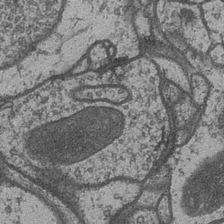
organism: Drosophila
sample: Optic medulla